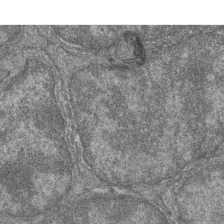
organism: Zebrafish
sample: Cilia; retinal pigment epithelium